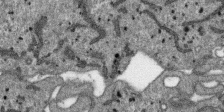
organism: Human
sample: Lung epithelial cells, uninfected (mock) control